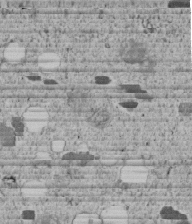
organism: C. elegans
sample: C. elegans embryo early stage